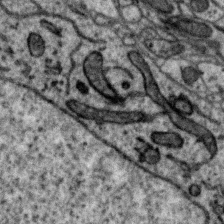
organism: Zebra finch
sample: Brain